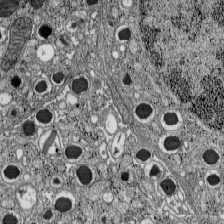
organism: C57BL Mouse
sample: Pancreatic islet